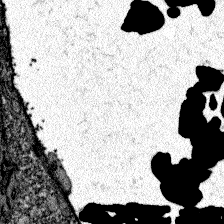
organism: Zebrafish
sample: Larval olfactory bulb